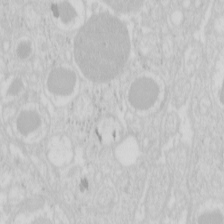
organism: Mouse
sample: Pancreas